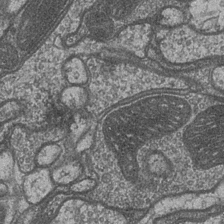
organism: Drosophila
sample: Optic medulla